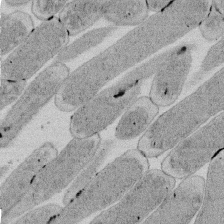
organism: E. coli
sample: Bacterial nucleoid